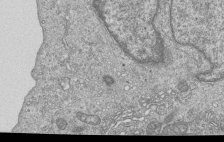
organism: Human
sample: MDA-MB-231 cells